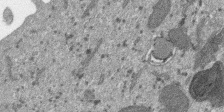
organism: Human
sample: Lung epithelial cells infected with SARS-CoV-2